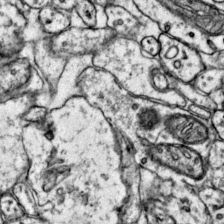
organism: Mouse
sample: Primary visual cortex